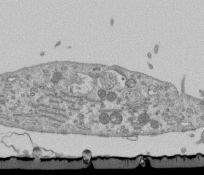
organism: Mouse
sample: ED-1 cell nuclei; centrioles